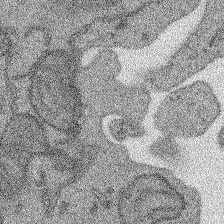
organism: Human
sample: HeLa cells